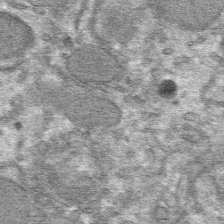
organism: Mouse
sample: Mouse hepatocytes